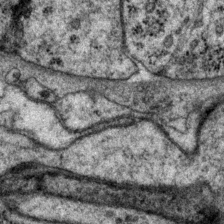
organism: P. pacificus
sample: Pharynx